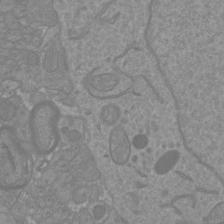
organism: Mouse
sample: Cortical neurons